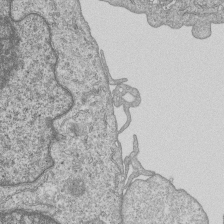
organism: Human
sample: MDA-MB-231 cells